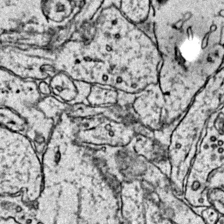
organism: Mouse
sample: Primary visual cortex